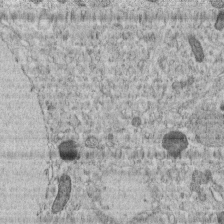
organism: C. elegans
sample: C. elegans embryo early stage